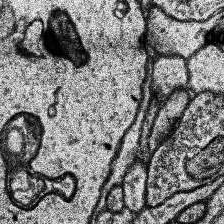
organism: Human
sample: Temporal Lobe